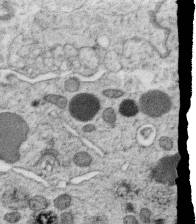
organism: C. elegans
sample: C. elegans oocyte; sperm cells